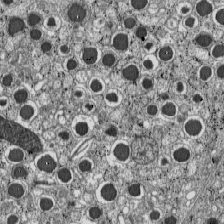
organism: C57BL Mouse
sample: Pancreatic islet